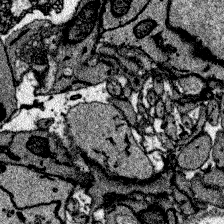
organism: Zebrafish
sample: Larval olfactory bulb